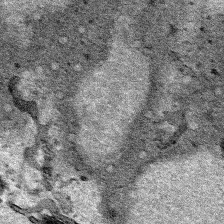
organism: Human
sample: Mitochondria in HCT116 cells